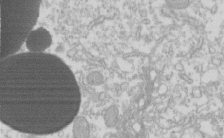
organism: Xenopus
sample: Cilia; centrioles in frog embryo cells